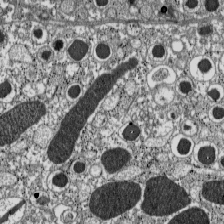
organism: C57BL Mouse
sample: Pancreatic islet